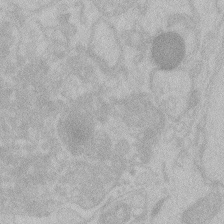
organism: Zebrafish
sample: Macrophage infected with Toxoplasma gondii